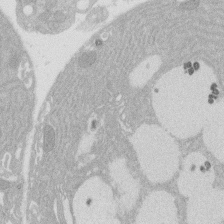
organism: Rat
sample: Salivary granule